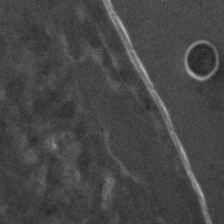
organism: C. elegans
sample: C. elegans embryo